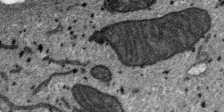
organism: Human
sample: Lung epithelial cells, uninfected (mock) control